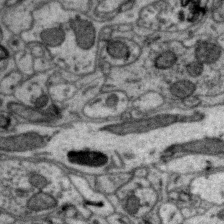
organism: Zebra finch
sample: Brain